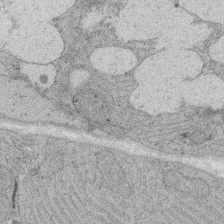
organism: Rat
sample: Salivary granule